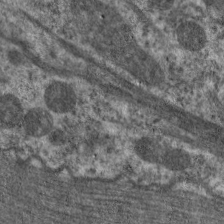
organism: C. elegans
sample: Pharynx